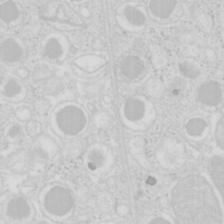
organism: Mouse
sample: Pancreas